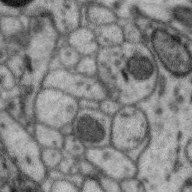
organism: Zebra finch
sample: Brain